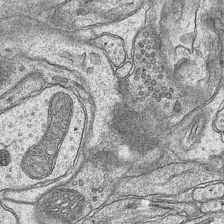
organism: Mouse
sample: CA1 Hippocampus